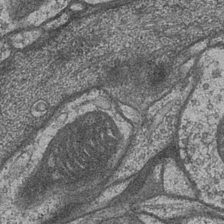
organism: Drosophila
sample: Optic medulla